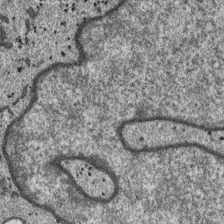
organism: Human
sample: Lung epithelial cells infected with SARS-CoV-2